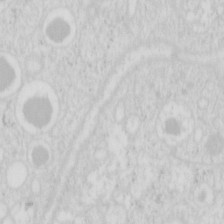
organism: Mouse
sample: Pancreas